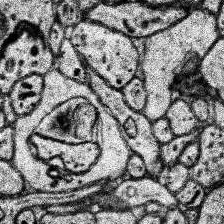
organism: Human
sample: Temporal Lobe